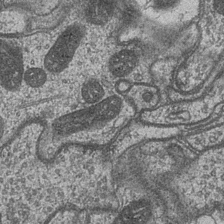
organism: Drosophila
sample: Optic medulla